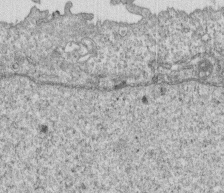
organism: Human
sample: HeLa cell HIV synapse